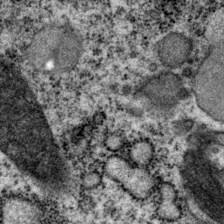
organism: P. pacificus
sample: Pharynx